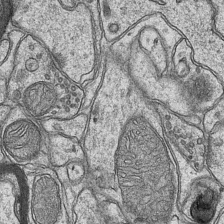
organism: Mouse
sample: CA1 Hippocampus